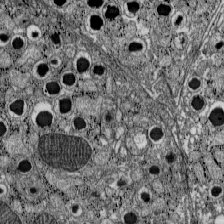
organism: C57BL Mouse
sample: Pancreatic islet